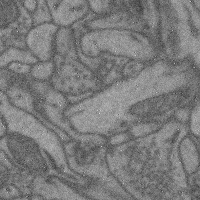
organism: Mouse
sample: Cerebral cortex